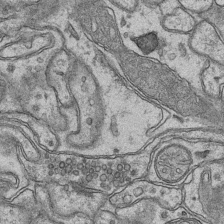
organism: Mouse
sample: CA1 Hippocampus